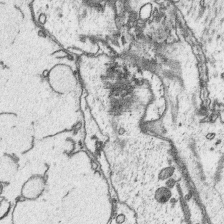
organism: Platynereis dumerilii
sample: Parapodia